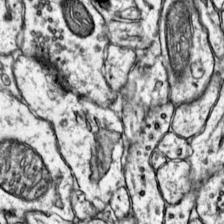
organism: Mouse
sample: Primary visual cortex